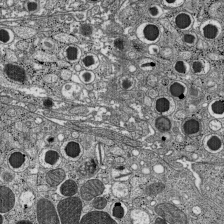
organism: C57BL Mouse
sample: Pancreatic islet